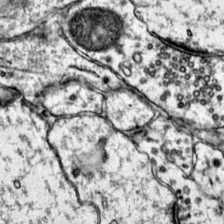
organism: Mouse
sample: Primary visual cortex